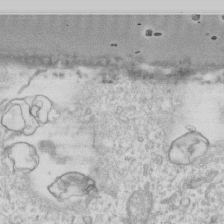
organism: Human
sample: Fibroblast cells